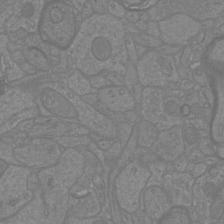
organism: Mouse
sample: Cortical neurons